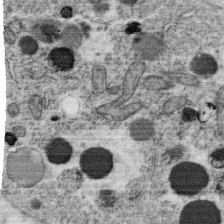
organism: C. elegans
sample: C. elegans oocyte; sperm cells